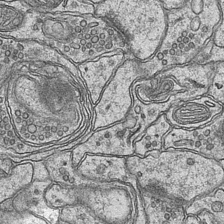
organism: Mouse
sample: CA1 Hippocampus